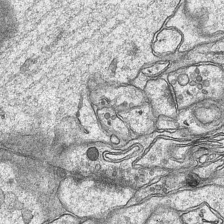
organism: Mouse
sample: CA1 Hippocampus